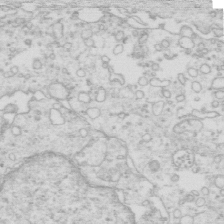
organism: Mouse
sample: Multiciliated cells